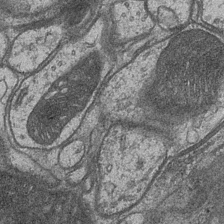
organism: Drosophila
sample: Optic medulla